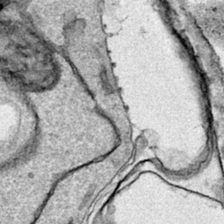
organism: Human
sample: Mitochondria in HCT116 cells